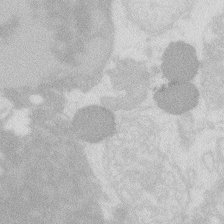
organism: Zebrafish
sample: Macrophage